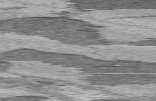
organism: C57BL Mouse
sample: Heart